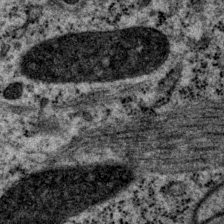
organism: P. pacificus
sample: Pharynx